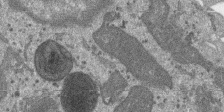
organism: Human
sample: Lung epithelial cells infected with SARS-CoV-2